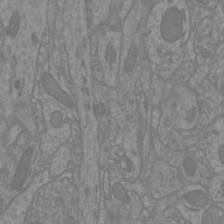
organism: Mouse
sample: Cortical neurons